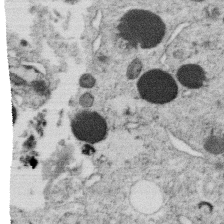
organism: C. elegans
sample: C. elegans oocyte; sperm cells